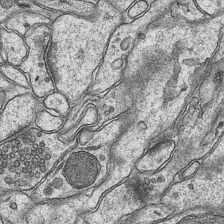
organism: Mouse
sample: CA1 Hippocampus